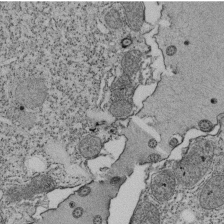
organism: Tetrahymena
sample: Cilia in tetrahymena